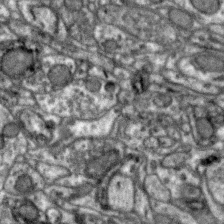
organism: Zebra finch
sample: Brain